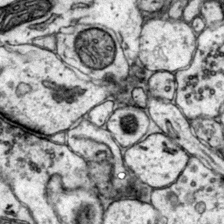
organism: Mouse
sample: Primary visual cortex